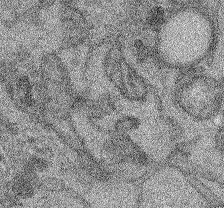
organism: Human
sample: HeLa cells